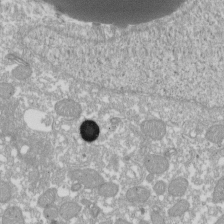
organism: Xenopus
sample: Cilia; centrioles in frog embryo cells